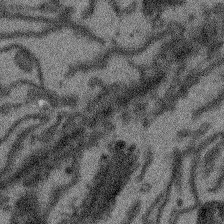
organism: Arabidopsis thaliana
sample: Root tip